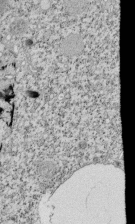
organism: Tetrahymena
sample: Cilia in tetrahymena